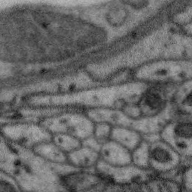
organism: Zebra finch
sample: Brain